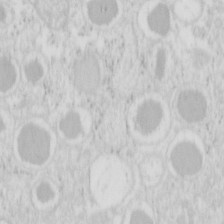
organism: Mouse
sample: Pancreas